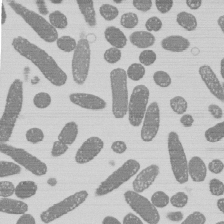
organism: E. coli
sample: Bacterial nucleoid